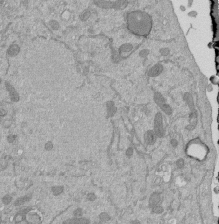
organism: Mouse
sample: ED-1 cell nuclei; centrioles